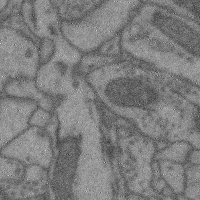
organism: Mouse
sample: Cerebral cortex